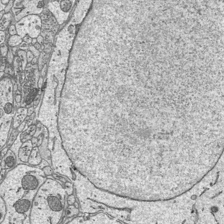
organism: Mouse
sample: Suprachiasmatic nucleus